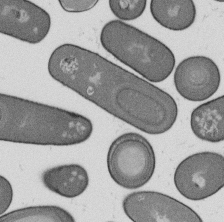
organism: B. subtilis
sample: Bacterial spore